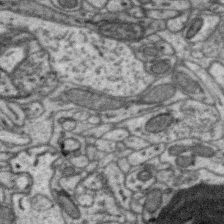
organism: Zebra finch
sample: Brain